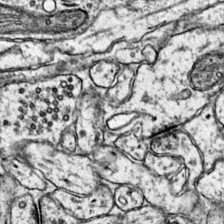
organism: Mouse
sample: Primary visual cortex